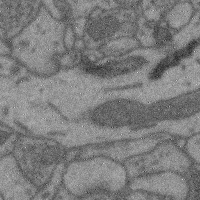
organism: Mouse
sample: Cerebral cortex